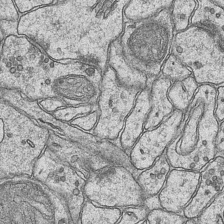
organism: Mouse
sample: CA1 Hippocampus